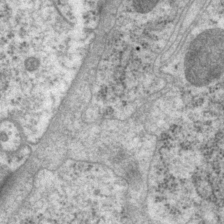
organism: P. pacificus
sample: Pharynx